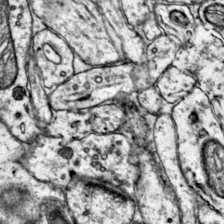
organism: Mouse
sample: Primary visual cortex